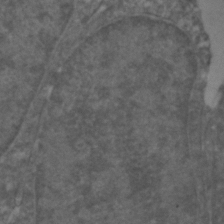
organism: Zebrafish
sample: Zebrafish embryo